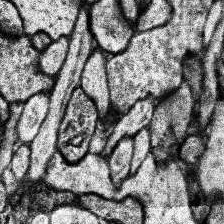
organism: Human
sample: Temporal Lobe